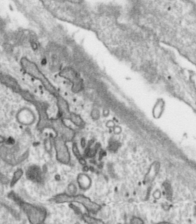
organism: Toxoplasma gondii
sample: Parasites in a vacuole inside a host cell